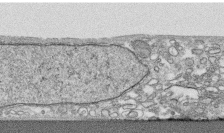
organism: Human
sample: CRL-1474